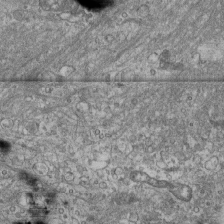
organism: Human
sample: Fibroblast cells